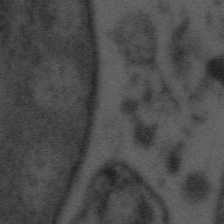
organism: Tuwongella immobilis